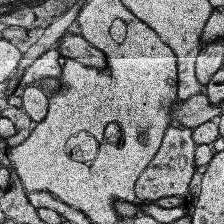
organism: Human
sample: Temporal Lobe